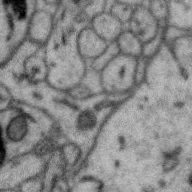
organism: Zebra finch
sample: Brain